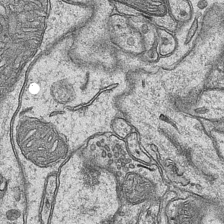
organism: Mouse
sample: CA1 Hippocampus